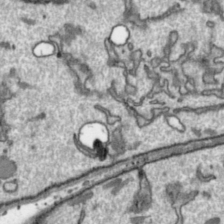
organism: Toxoplasma gondii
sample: Parasites in a vacuole inside a host cell